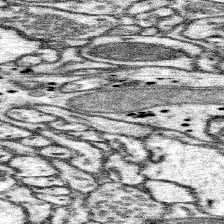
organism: Mouse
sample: Somatosensory cortex neuropil